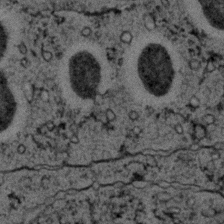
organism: C. elegans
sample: C. elegans embryo